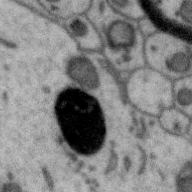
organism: Zebra finch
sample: Brain